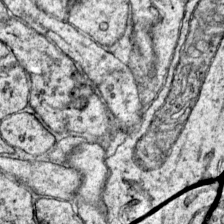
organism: Mouse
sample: Primary visual cortex